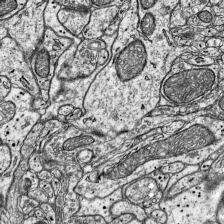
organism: Mouse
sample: Visual Cortex